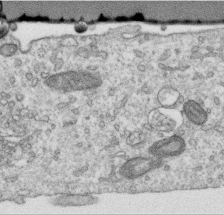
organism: Human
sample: Centriole in RPE cells